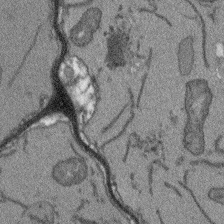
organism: Arabidopsis thaliana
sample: Root tip